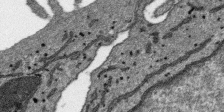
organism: Human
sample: Lung epithelial cells, uninfected (mock) control